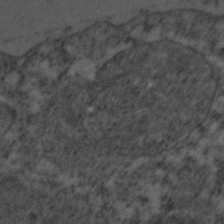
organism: C. elegans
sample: C. elegans embryo